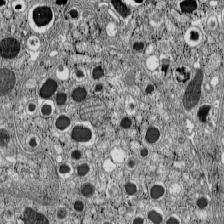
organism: C57BL Mouse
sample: Pancreatic islet